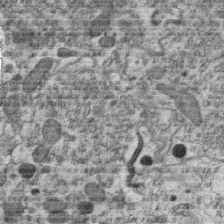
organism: C. elegans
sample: C. elegans oocyte; sperm cells